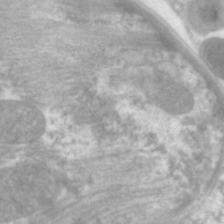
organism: C. elegans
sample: Pharynx